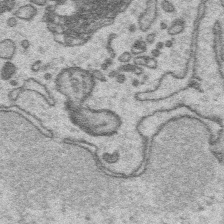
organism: Platynereis dumerilii